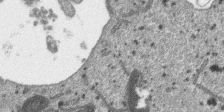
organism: Human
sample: Lung epithelial cells infected with SARS-CoV-2